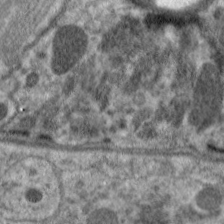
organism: C. elegans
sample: Pharynx